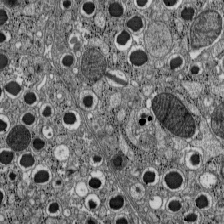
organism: C57BL Mouse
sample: Pancreatic islet